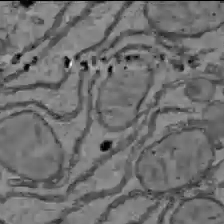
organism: C57BL Mouse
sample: Liver